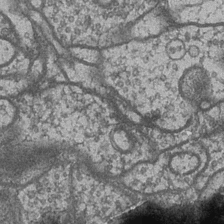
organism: Drosophila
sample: Optic medulla